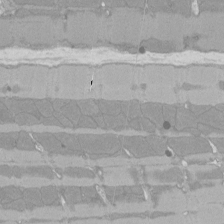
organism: Rat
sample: Left ventricle